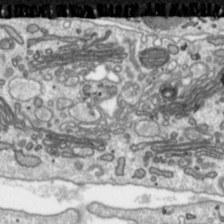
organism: Toxoplasma gondii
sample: Parasites in a vacuole inside a host cell